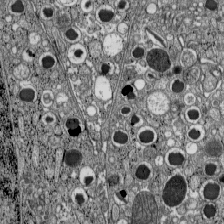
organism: C57BL Mouse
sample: Pancreatic islet